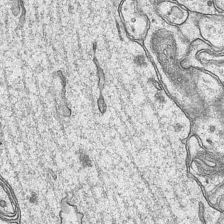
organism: Mouse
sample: CA1 Hippocampus